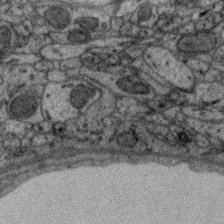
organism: Zebra finch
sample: Brain